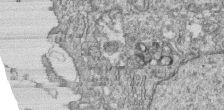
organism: Human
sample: HeLa cell HIV synapse